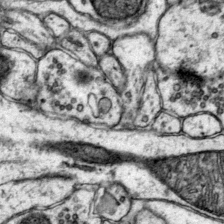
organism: Mouse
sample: Primary visual cortex